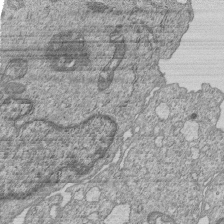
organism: Human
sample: MDA-MB-231 cells